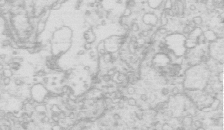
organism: Mouse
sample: Multiciliated cells